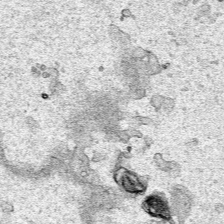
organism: Human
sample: Mitochondria in HCT116 cells